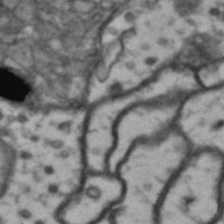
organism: Drosophila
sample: Brain